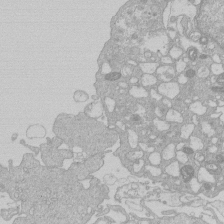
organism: Human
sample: Macrophage cells